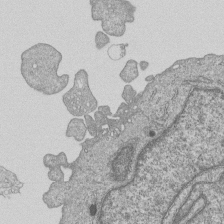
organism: Human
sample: MDA-MB-231 cells